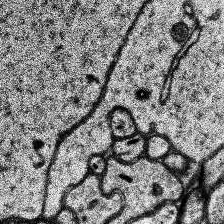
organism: Human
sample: Temporal Lobe